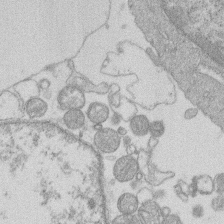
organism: Human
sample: Macrophage cells